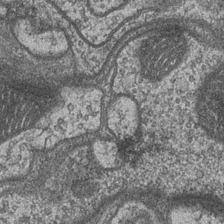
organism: Drosophila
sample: Optic medulla